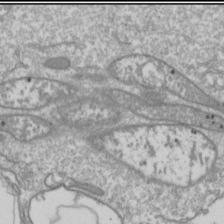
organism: Drosophila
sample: Cell division; meiosis; drosophila spermatocytes